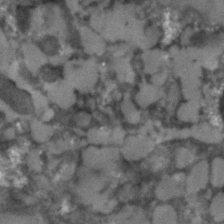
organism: C. elegans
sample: C. elegans embryo